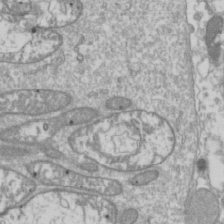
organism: Drosophila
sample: Cell division; meiosis; drosophila spermatocytes